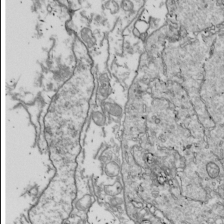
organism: Drosophila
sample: Cell division; meiosis; drosophila spermatocytes